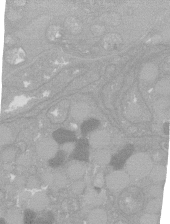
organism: C. elegans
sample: C. elegans oocyte; sperm cells